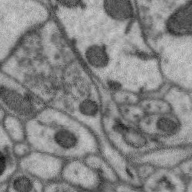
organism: Zebra finch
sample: Brain